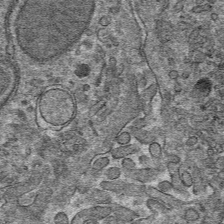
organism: Mouse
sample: Mouse hepatocytes